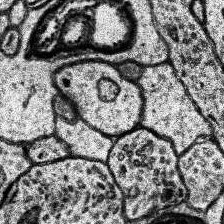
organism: Human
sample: Temporal Lobe